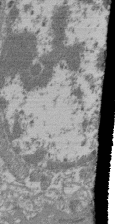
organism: Mouse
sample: Glomerulus